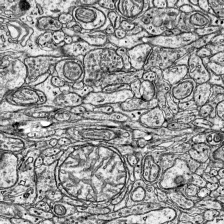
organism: Mouse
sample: Visual Cortex